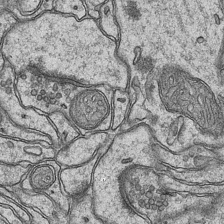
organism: Mouse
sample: CA1 Hippocampus